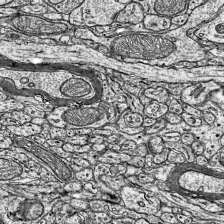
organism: Mouse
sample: Visual Cortex